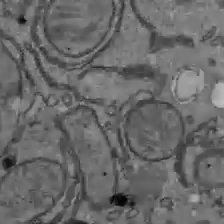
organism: C57BL Mouse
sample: Liver